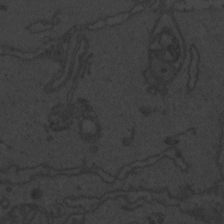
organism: Zebrafish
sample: Macrophage infected with Toxoplasma gondii